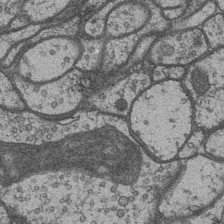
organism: Drosophila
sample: Optic medulla